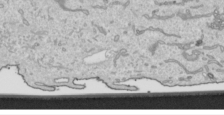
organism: Human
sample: Mitochondria in HCT116 cells